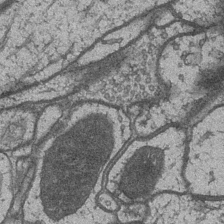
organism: Drosophila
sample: Optic medulla